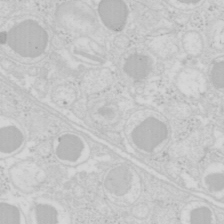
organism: Mouse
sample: Pancreas